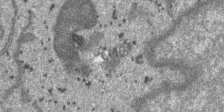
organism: Human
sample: Lung epithelial cells infected with SARS-CoV-2